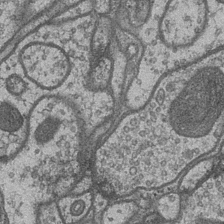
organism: Drosophila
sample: Optic medulla